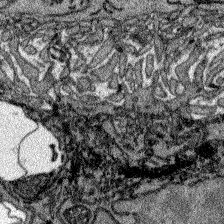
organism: Zebrafish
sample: Larval olfactory bulb